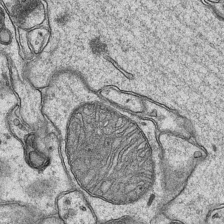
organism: Mouse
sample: CA1 Hippocampus